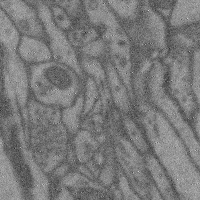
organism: Mouse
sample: Cerebral cortex